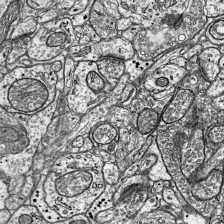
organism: Mouse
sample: Visual Cortex